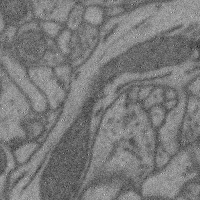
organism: Mouse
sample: Cerebral cortex